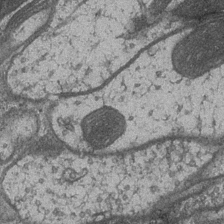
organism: Drosophila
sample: Optic medulla